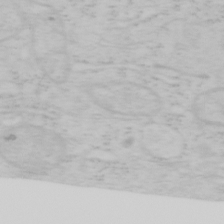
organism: Mouse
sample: OT-I killer T cells with ID8 ovarian cancer cells